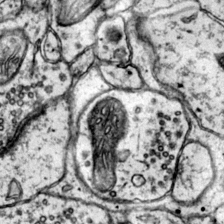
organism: Mouse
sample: Primary visual cortex